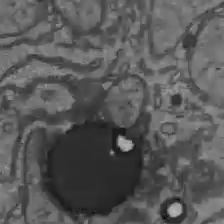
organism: C57BL Mouse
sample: Liver